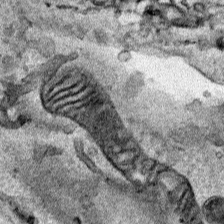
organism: Human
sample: Mitochondria in HCT116 cells